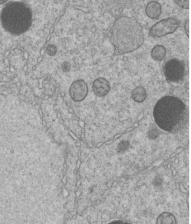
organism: C. elegans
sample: C. elegans embryo early stage